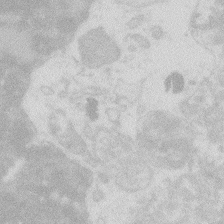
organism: Zebrafish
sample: Macrophage